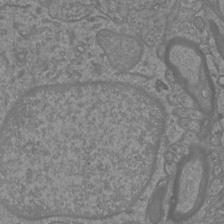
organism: Mouse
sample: Cortical neurons